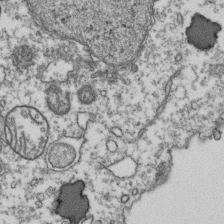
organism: Human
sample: Activated Jurkat CD4+ T cells